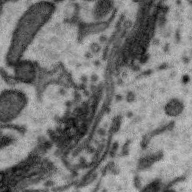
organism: Zebra finch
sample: Brain